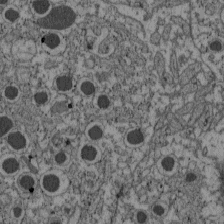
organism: C57BL Mouse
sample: Pancreatic islet